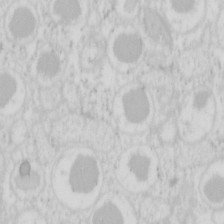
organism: Mouse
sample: Pancreas